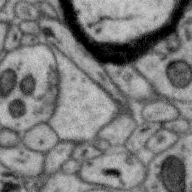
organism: Zebra finch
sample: Brain